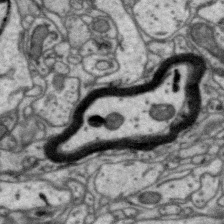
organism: Zebra finch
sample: Brain